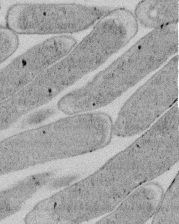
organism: E. coli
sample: Bacterial nucleoid